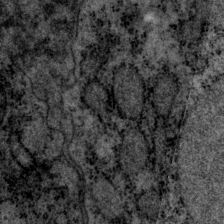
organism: P. pacificus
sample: Pharynx